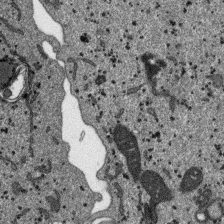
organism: Human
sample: Lung epithelial cells infected with SARS-CoV-2